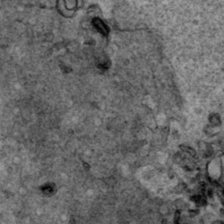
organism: Human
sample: Mitochondria in HCT116 cells